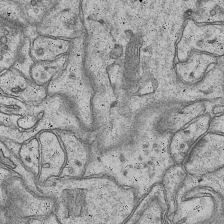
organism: Mouse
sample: CA1 Hippocampus